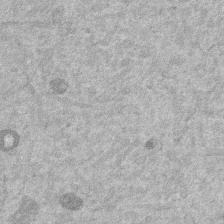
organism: Mouse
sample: Dividing mouse embryo 1 cell stage